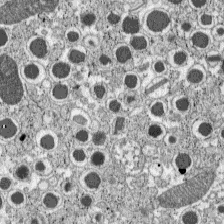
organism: C57BL Mouse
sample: Pancreatic islet